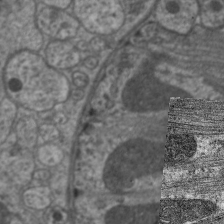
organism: C. elegans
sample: Pharynx